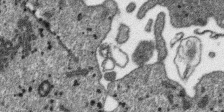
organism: Human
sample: Lung epithelial cells infected with SARS-CoV-2